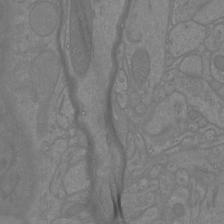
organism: Mouse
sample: Cortical neurons